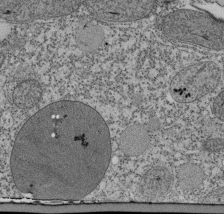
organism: Tetrahymena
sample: Cilia in tetrahymena